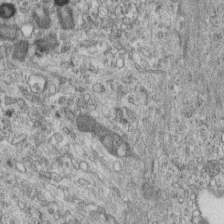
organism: Mouse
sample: Centriole in ependymal cells